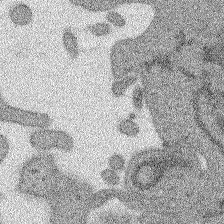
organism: Human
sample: HeLa cells